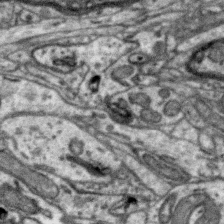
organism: Zebra finch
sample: Brain